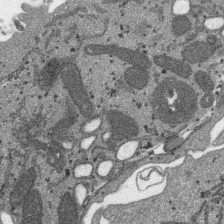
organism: Human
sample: Lung epithelial cells infected with SARS-CoV-2